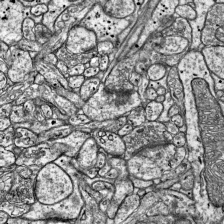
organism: Mouse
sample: Visual Cortex